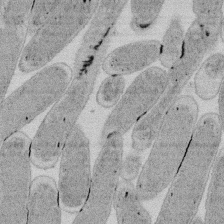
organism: E. coli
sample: Bacterial nucleoid